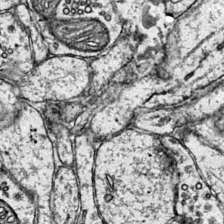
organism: Mouse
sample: Primary visual cortex